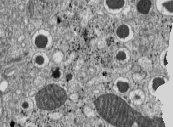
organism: C57BL Mouse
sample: Pancreatic islet